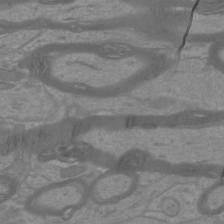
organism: Mouse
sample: Cortical neurons